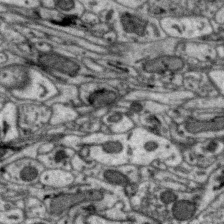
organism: Zebra finch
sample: Brain